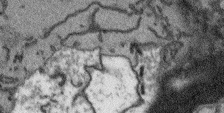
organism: Arabidopsis thaliana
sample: Root tip